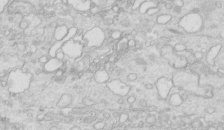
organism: Mouse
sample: Multiciliated cells